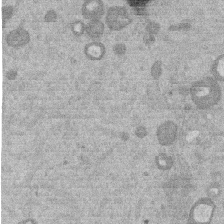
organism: Mouse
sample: Dividing mouse embryo 1 cell stage